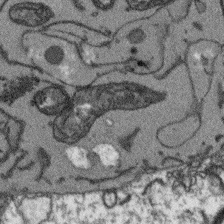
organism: Arabidopsis thaliana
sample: Root tip